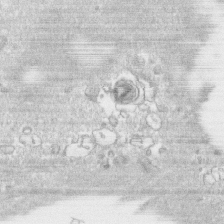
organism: Human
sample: CRL-1474